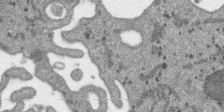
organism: Human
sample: Lung epithelial cells infected with SARS-CoV-2